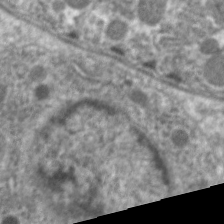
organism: C. elegans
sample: Pharynx